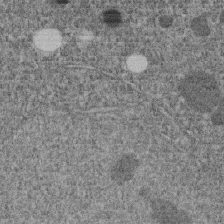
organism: C. elegans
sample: C. elegans embryo early stage